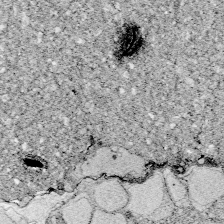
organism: Zebrafish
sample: Whole-Brain